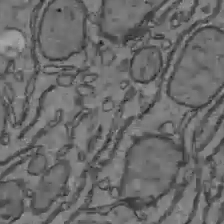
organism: C57BL Mouse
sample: Liver